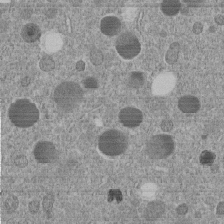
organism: C. elegans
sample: C. elegans embryo early stage